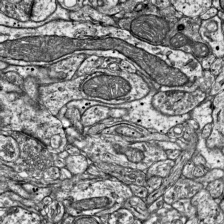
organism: Mouse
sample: Visual Cortex